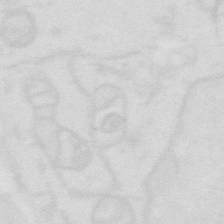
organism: Human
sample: HeLa cells